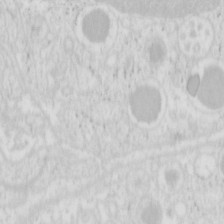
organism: Mouse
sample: Pancreas